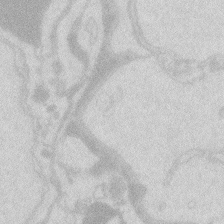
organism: Zebrafish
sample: Macrophage